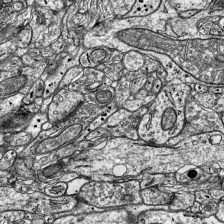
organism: Mouse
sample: Visual Cortex